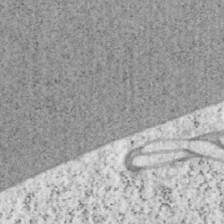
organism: Mouse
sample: OT-I killer T cells with ID8 ovarian cancer cells